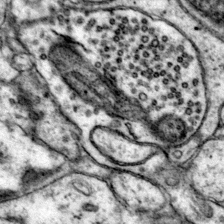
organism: Mouse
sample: Primary visual cortex